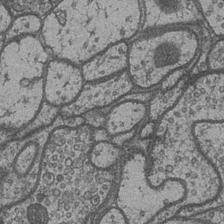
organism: Drosophila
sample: Optic medulla